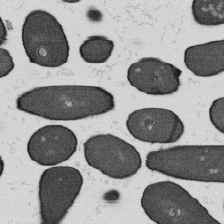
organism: B. subtilis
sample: Bacterial spore